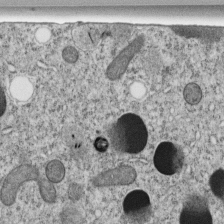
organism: C. elegans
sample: C. elegans embryo early stage